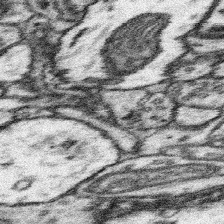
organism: Mouse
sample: Somatosensory cortex neuropil